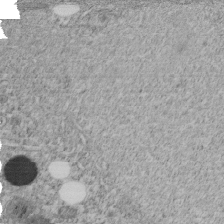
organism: C. elegans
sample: C. elegans embryo early stage